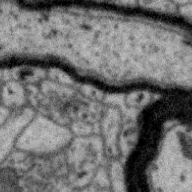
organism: Zebra finch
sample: Brain